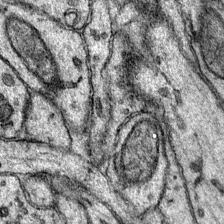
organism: Mouse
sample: Primary visual cortex